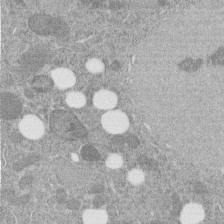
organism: C. elegans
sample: C. elegans embryo early stage